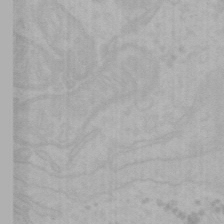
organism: Mouse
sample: Choroid plexus